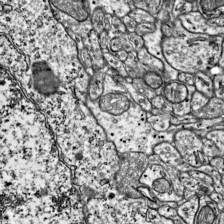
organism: Mouse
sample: Visual Cortex